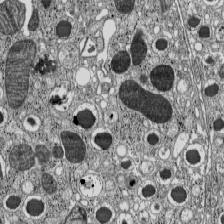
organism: C57BL Mouse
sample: Pancreatic islet